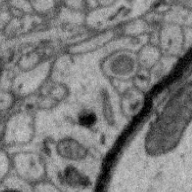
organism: Zebra finch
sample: Brain